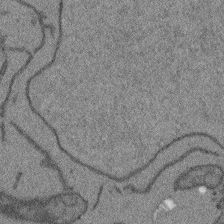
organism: Arabidopsis thaliana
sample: Root tip